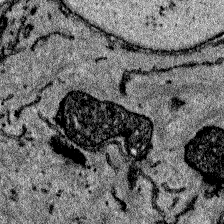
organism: Zebrafish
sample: Larval olfactory bulb